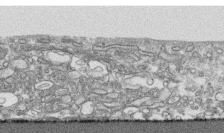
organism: Human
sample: CRL-1474